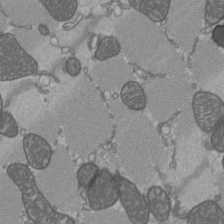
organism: C57BL Mouse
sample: Heart